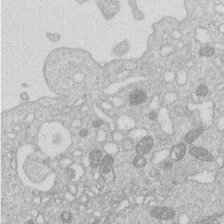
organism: Human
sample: Macrophage cells